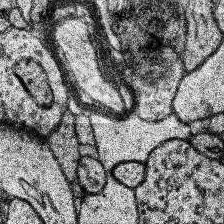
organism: Human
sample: Temporal Lobe